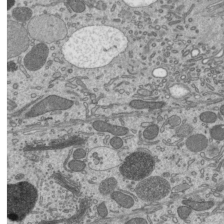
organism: Mouse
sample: Mouse epididymis efferent ductule cilia